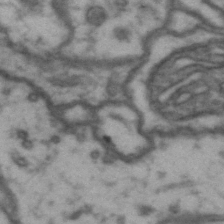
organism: Drosophila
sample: Brain